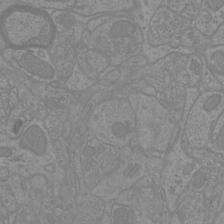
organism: Mouse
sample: Cortical neurons